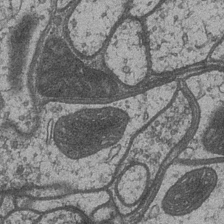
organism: Drosophila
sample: Optic medulla